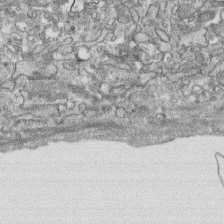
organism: Human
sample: CRL-1474